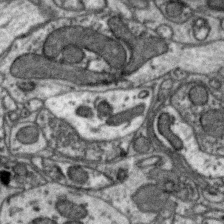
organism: Zebra finch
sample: Brain